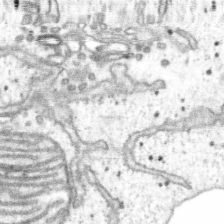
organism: Human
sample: HeLa cells